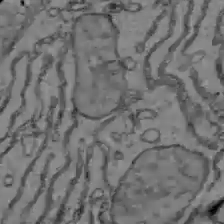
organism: C57BL Mouse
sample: Liver